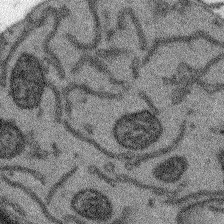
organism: Arabidopsis thaliana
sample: Root tip